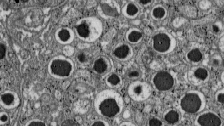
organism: C57BL Mouse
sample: Pancreatic islet